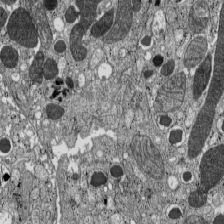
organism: C57BL Mouse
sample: Pancreatic islet